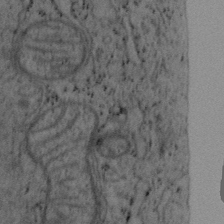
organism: Human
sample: HeLa cells